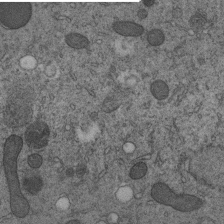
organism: C. elegans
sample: C. elegans embryo early stage